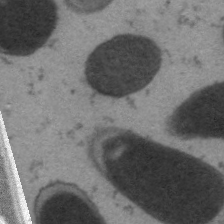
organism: C. elegans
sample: Pharynx